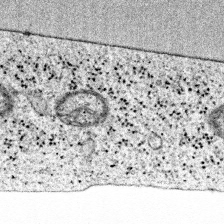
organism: Human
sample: HeLa cells